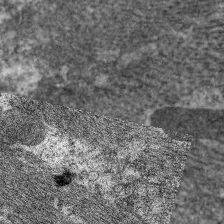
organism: C. elegans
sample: Pharynx